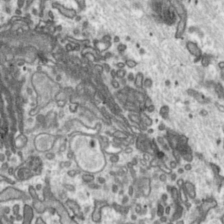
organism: Toxoplasma gondii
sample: Parasites in a vacuole inside a host cell